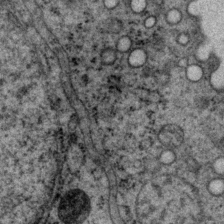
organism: P. pacificus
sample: Pharynx